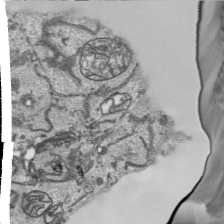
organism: Human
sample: Mitochondria in HCT116 cells